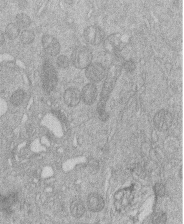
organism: Human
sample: Macrophage cells